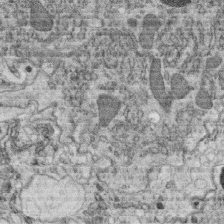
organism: C. elegans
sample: C. elegans oocyte; sperm cells